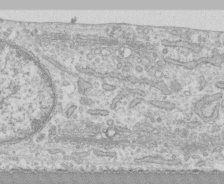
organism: Human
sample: CRL-1474